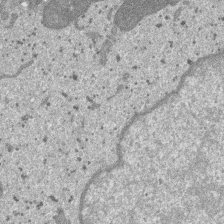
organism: Human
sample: Lung epithelial cells infected with SARS-CoV-2